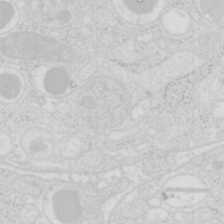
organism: Mouse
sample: Pancreas